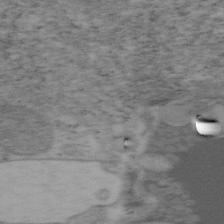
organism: Mouse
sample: OT-I killer T cells with ID8 ovarian cancer cells